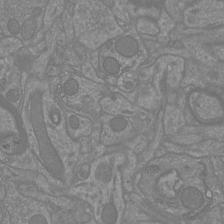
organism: Mouse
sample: Cortical neurons